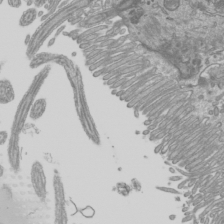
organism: Mouse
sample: Cilia; mouse epididymis